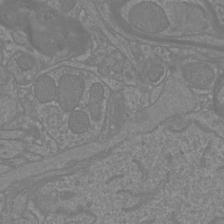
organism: Mouse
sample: Cortical neurons